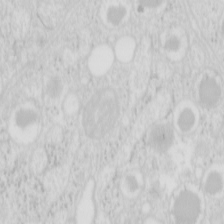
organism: Mouse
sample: Pancreas